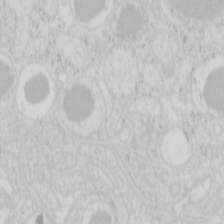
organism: Mouse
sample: Pancreas